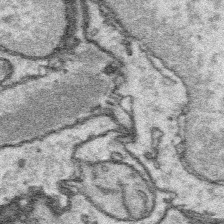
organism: Platynereis dumerilii